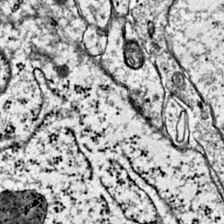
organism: Mouse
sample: Primary visual cortex